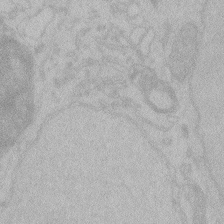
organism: Zebrafish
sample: Macrophage infected with Toxoplasma gondii